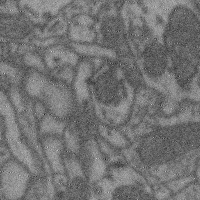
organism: Mouse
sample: Cerebral cortex